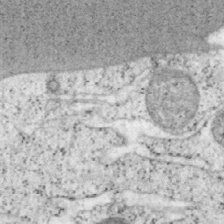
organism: Mouse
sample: OT-I killer T cells with ID8 ovarian cancer cells